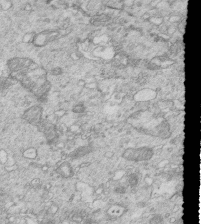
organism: Mouse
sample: Multiciliated cells